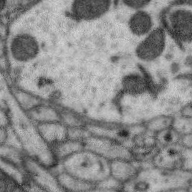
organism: Zebra finch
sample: Brain